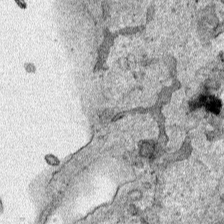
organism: Human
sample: Mitochondria in HCT116 cells